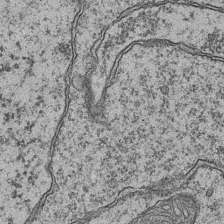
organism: Mouse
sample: CA1 Hippocampus